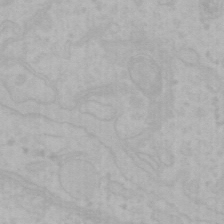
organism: Mouse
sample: Choroid plexus